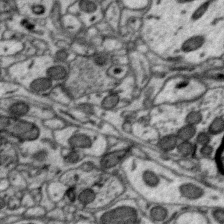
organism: Zebra finch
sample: Brain